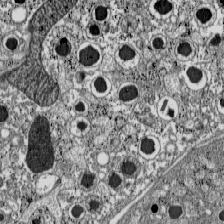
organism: C57BL Mouse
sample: Pancreatic islet